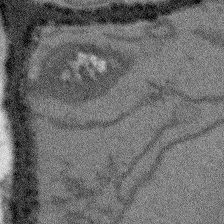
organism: Arabidopsis thaliana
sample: Root tip